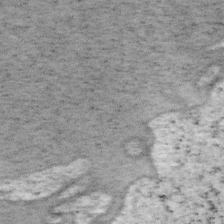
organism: Mouse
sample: OT-I killer T cells with ID8 ovarian cancer cells